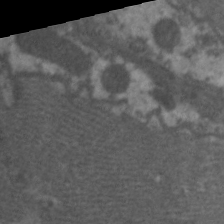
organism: C. elegans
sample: Pharynx